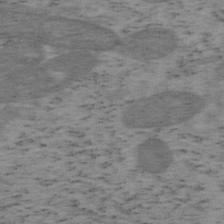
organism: Mouse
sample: OT-I killer T cells with ID8 ovarian cancer cells